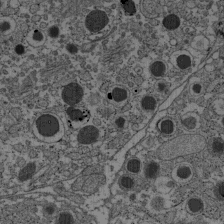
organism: C57BL Mouse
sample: Pancreatic islet